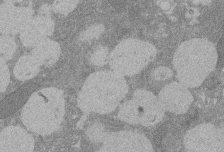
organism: Rat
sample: Salivary granule